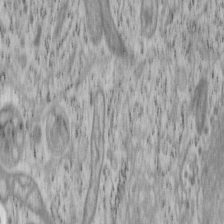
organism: Human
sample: HeLa cells